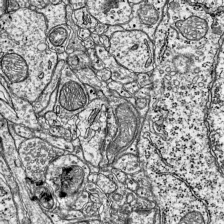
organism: Mouse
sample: Visual Cortex